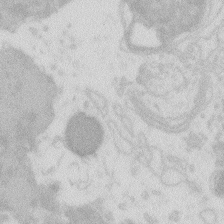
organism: Zebrafish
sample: Macrophage